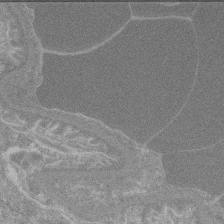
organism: Mouse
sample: Glomerulus